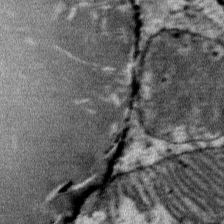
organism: Mouse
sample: Mouse Salivary gland